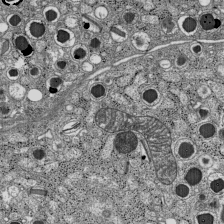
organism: C57BL Mouse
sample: Pancreatic islet